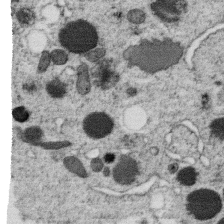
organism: C. elegans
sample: C. elegans oocyte; sperm cells